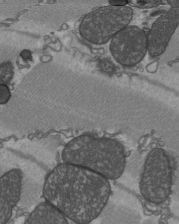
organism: C57BL Mouse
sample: Heart